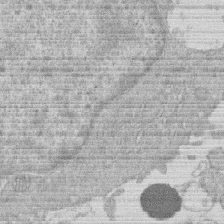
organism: Human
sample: Macrophage cells